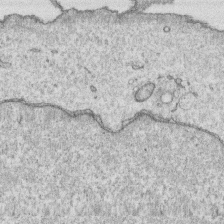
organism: Human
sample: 1205lu cells